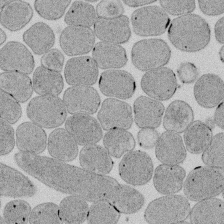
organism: E. coli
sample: Bacterial nucleoid